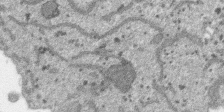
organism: Human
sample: Lung epithelial cells infected with SARS-CoV-2